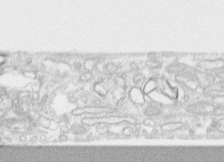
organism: Human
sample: CRL-1474